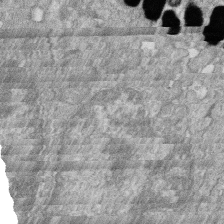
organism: Zebrafish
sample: Cilia; retinal pigment epithelium